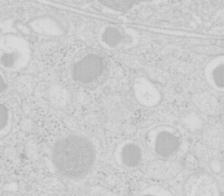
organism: Mouse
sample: Pancreas